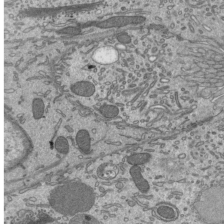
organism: Mouse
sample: Mouse epididymis efferent ductule cilia